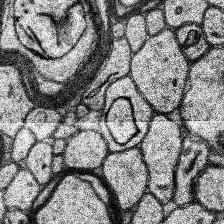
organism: Human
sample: Temporal Lobe